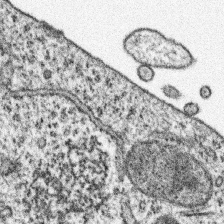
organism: Human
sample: HeLa cells